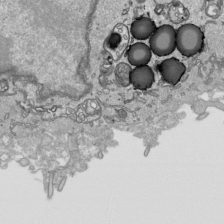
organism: Human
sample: Mitochondria in HCT116 cells